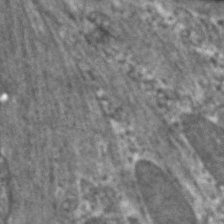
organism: C. elegans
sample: Pharynx